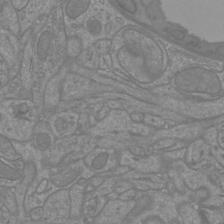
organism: Mouse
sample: Cortical neurons